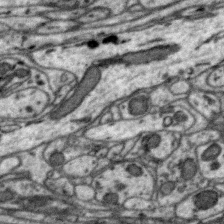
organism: Zebra finch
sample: Brain